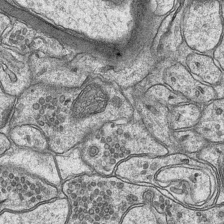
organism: Mouse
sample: CA1 Hippocampus